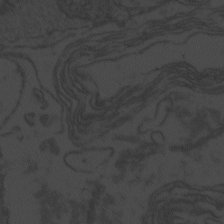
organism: Zebrafish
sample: Macrophage infected with Toxoplasma gondii